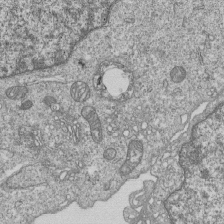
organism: Human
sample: MDA-MB-231 cells